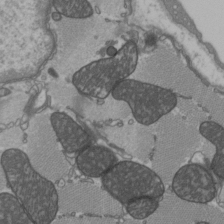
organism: C57BL Mouse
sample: Heart